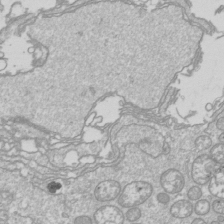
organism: Drosophila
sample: Cell division; meiosis; drosophila spermatocytes